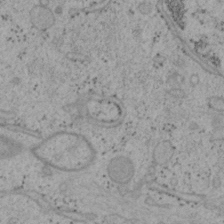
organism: Human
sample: HeLa cells